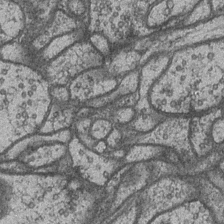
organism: Drosophila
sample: Optic medulla